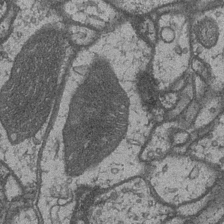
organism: Drosophila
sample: Optic medulla